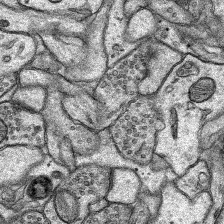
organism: Rat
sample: Hippocampus